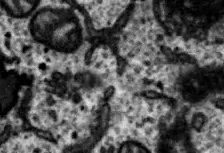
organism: Human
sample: HeLa cells